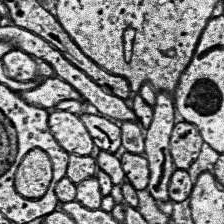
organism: Human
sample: Temporal Lobe